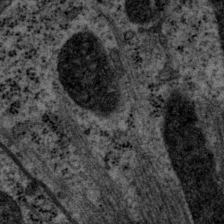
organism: P. pacificus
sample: Pharynx